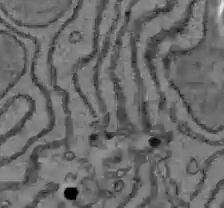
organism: C57BL Mouse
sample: Liver